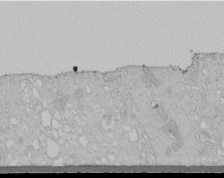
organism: Human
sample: Melanocyte Keratinocyte synapse skin construct